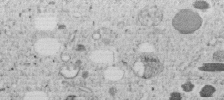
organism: C. elegans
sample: C. elegans embryo early stage